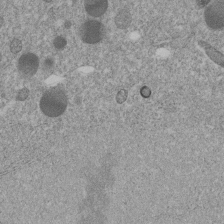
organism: C. elegans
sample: C. elegans embryo early stage